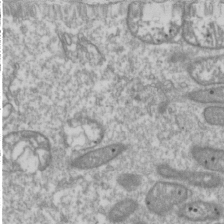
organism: Drosophila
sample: Cell division; meiosis; drosophila spermatocytes